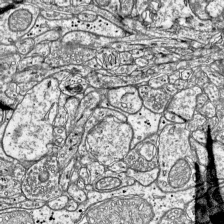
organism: Mouse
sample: Visual Cortex